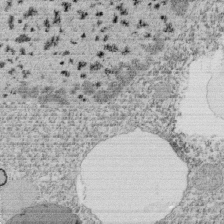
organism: Tetrahymena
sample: Cilia in tetrahymena